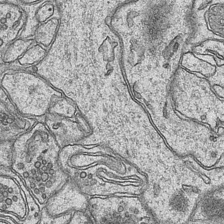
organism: Mouse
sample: CA1 Hippocampus